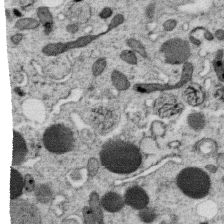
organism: C. elegans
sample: C. elegans oocyte; sperm cells